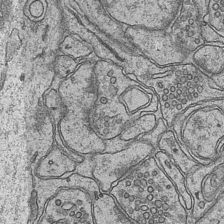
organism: Mouse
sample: CA1 Hippocampus